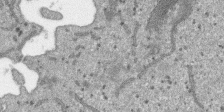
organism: Human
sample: Lung epithelial cells infected with SARS-CoV-2